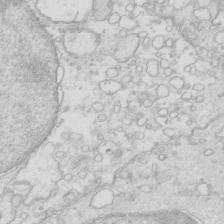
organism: Mouse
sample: Multiciliated cells